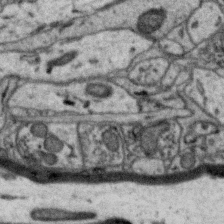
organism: Zebra finch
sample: Brain